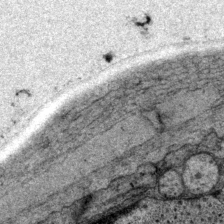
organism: P. pacificus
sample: Pharynx